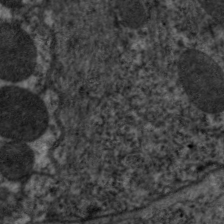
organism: C. elegans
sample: Pharynx